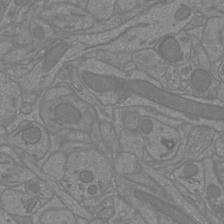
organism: Mouse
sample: Cortical neurons